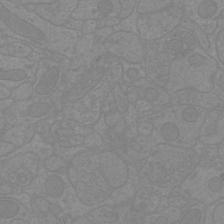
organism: Mouse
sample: Cortical neurons